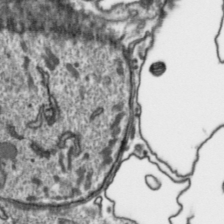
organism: Toxoplasma gondii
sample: Parasites in a vacuole inside a host cell